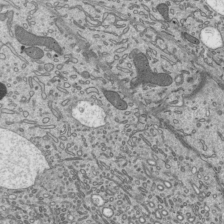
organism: Mouse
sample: Mouse epididymis efferent ductule cilia